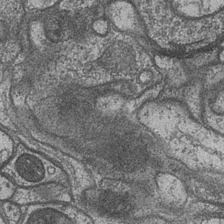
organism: Drosophila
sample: Optic medulla